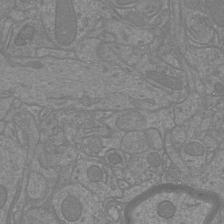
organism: Mouse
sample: Cortical neurons